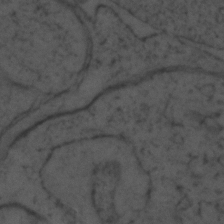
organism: Zebrafish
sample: Zebrafish embryo